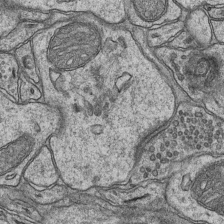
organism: Mouse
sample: CA1 Hippocampus